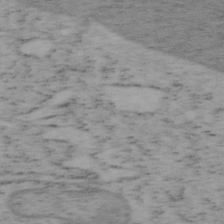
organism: Mouse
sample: OT-I killer T cells with ID8 ovarian cancer cells